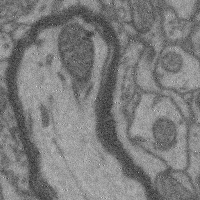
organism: Mouse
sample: Cerebral cortex